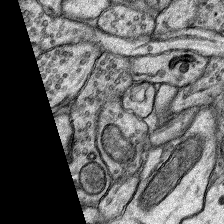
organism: Rat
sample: Hippocampus